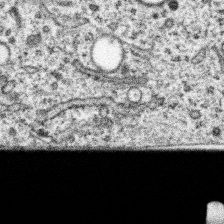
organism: Human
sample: HeLa cells